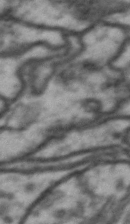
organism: Drosophila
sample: Brain